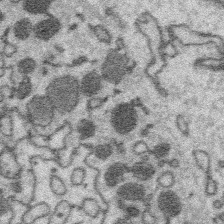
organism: Platynereis dumerilii